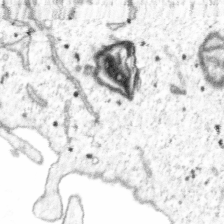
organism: Human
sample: HeLa cells